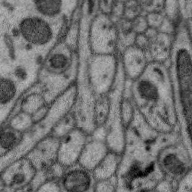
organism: Zebra finch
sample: Brain